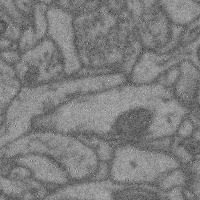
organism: Mouse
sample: Cerebral cortex